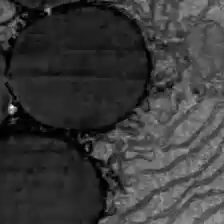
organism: C57BL Mouse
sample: Liver